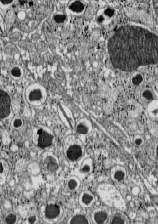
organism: C57BL Mouse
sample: Pancreatic islet